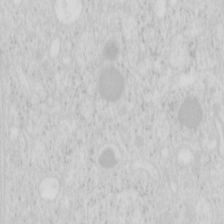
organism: Mouse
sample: Pancreas